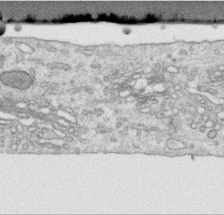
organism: Human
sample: Centriole in RPE cells